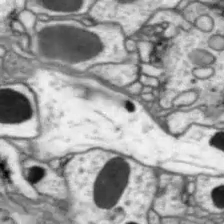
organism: Drosophila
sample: Optic lobe